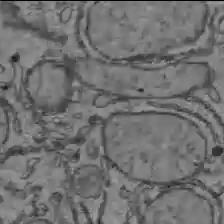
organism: C57BL Mouse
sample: Liver